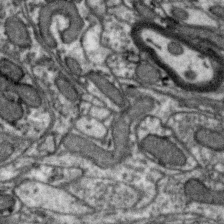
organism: Zebra finch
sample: Brain